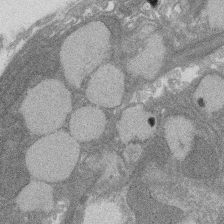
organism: Rat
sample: Salivary granule